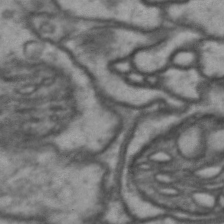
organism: Drosophila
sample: Brain